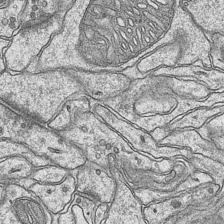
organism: Mouse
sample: CA1 Hippocampus